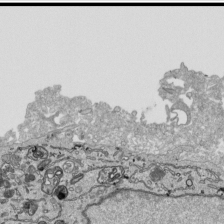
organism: Human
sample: Mitochondria in HCT116 cells